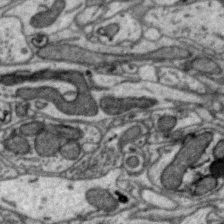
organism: Zebra finch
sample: Brain